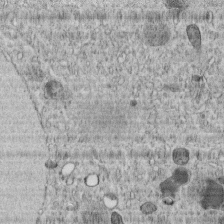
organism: C. elegans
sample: C. elegans embryo early stage